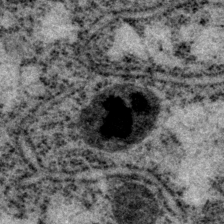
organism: P. pacificus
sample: Pharynx